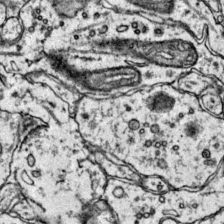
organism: Mouse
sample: Primary visual cortex